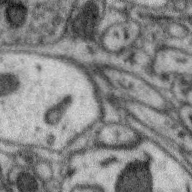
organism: Zebra finch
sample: Brain